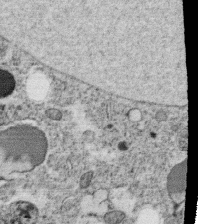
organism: C. elegans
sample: C. elegans oocyte; sperm cells